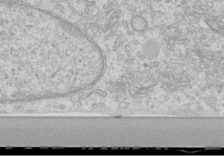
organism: Human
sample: Centriole in RPE cells